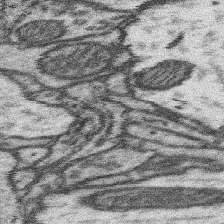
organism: Mouse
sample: Somatosensory cortex neuropil